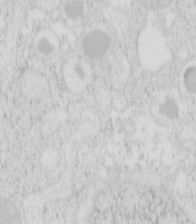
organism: Mouse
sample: Pancreas